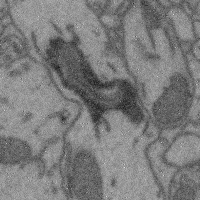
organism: Mouse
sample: Cerebral cortex